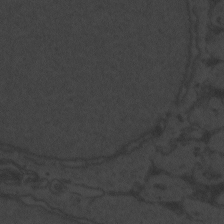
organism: Zebrafish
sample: Macrophage infected with Toxoplasma gondii